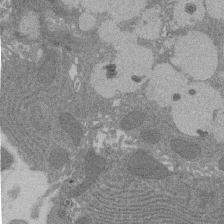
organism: Rat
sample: Salivary granule